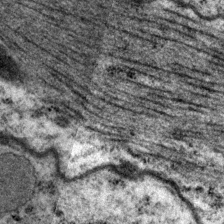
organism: P. pacificus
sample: Pharynx